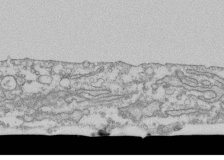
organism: Human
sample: Fibroblast cells